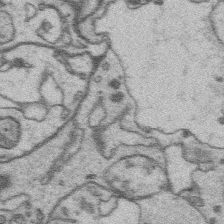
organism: Platynereis dumerilii